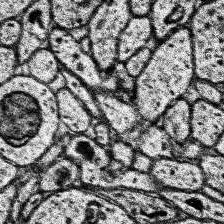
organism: Human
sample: Temporal Lobe